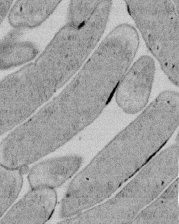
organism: E. coli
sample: Bacterial nucleoid